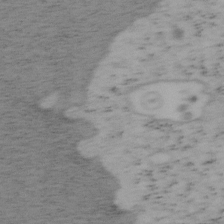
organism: Mouse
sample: OT-I killer T cells with ID8 ovarian cancer cells